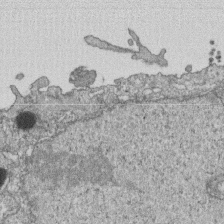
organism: Human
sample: HeLa cell HIV synapse